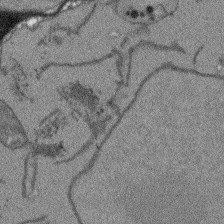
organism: Arabidopsis thaliana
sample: Root tip